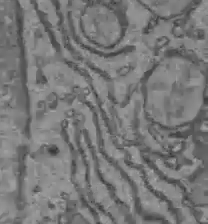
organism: C57BL Mouse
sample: Liver